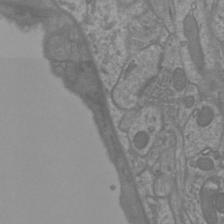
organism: Mouse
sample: Cortical neurons